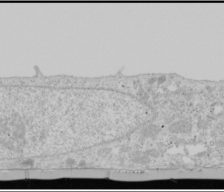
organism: Human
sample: Mitochondria in U2OS cells